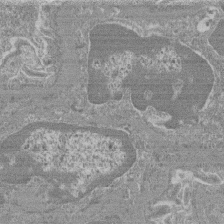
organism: Mouse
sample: Glomerulus